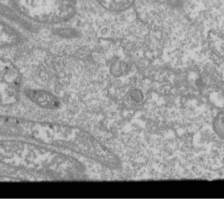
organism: Drosophila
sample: Cell division; meiosis; drosophila spermatocytes